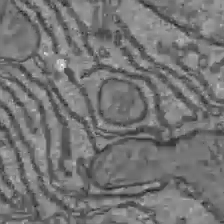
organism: C57BL Mouse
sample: Liver